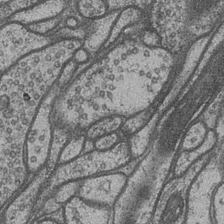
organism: Drosophila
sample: Optic medulla